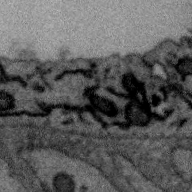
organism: Zebra finch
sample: Brain